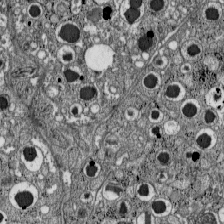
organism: C57BL Mouse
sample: Pancreatic islet